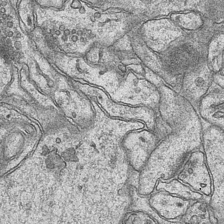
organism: Mouse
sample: CA1 Hippocampus